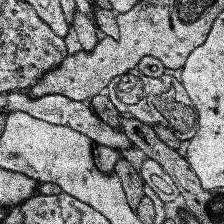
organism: Human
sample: Temporal Lobe